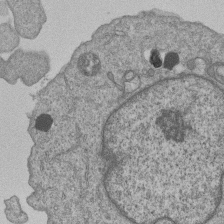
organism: Human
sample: MDA-MB-231 cells